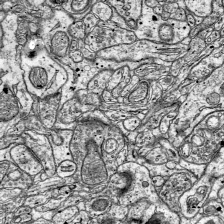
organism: Mouse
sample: Visual Cortex